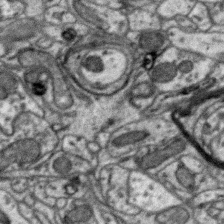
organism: Zebra finch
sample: Brain